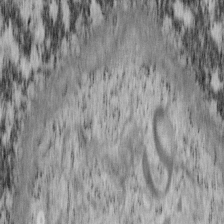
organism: Human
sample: HeLa cells